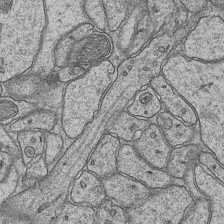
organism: Mouse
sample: CA1 Hippocampus